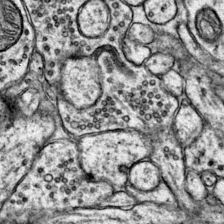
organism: Mouse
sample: Primary visual cortex